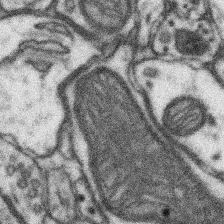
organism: Mouse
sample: Somatosensory cortex neuropil